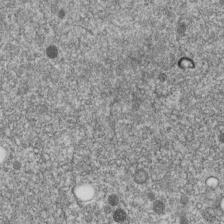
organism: C. elegans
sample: C. elegans embryo early stage